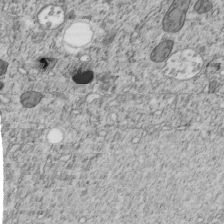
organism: C. elegans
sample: C. elegans embryo early stage